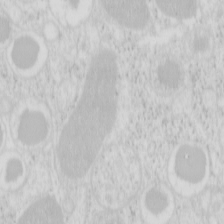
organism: Mouse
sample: Pancreas